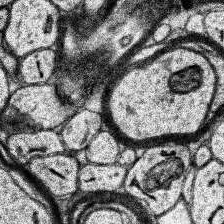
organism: Human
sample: Temporal Lobe